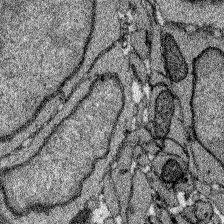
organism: Zebrafish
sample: Larval olfactory bulb